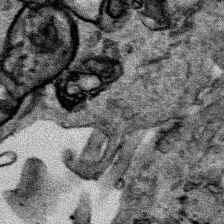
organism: Human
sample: Mitochondria in HCT116 cells